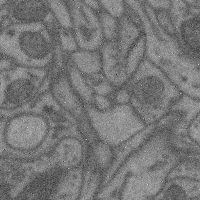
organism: Mouse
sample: Cerebral cortex